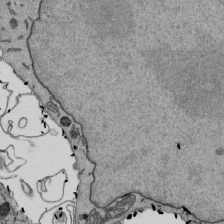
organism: Mouse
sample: ED-1 cell nuclei; centrioles